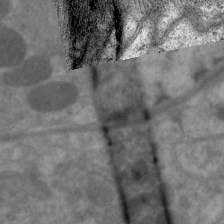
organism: C. elegans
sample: Pharynx